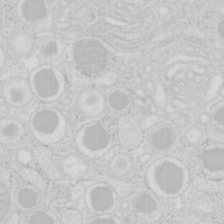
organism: Mouse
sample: Pancreas